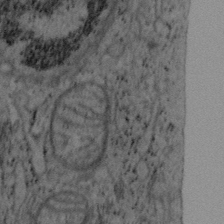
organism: Human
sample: HeLa cells